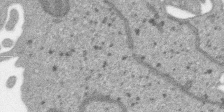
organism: Human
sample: Lung epithelial cells infected with SARS-CoV-2